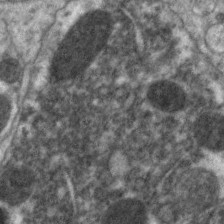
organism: C. elegans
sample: Pharynx